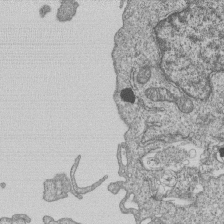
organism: Human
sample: MDA-MB-231 cells